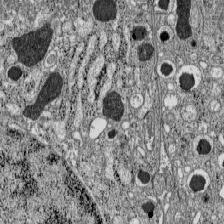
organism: C57BL Mouse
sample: Pancreatic islet